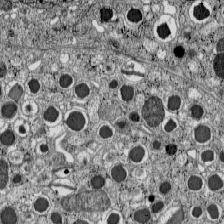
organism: C57BL Mouse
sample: Pancreatic islet